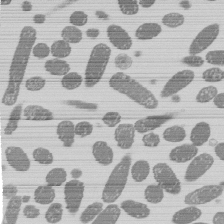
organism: E. coli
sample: Bacterial nucleoid